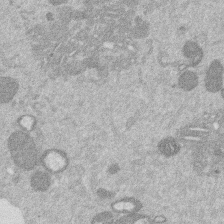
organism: Mouse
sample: Dividing mouse embryo 1 cell stage